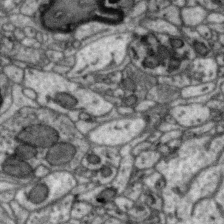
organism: Zebra finch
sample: Brain